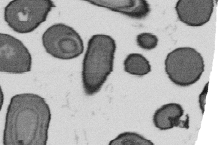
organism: B. subtilis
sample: Bacterial spore